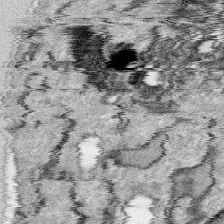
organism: Human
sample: HeLa cells